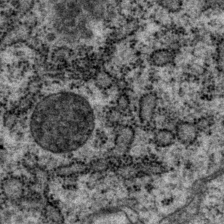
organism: P. pacificus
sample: Pharynx